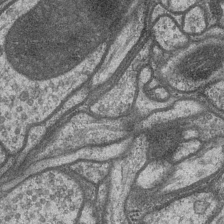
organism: Drosophila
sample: Optic medulla